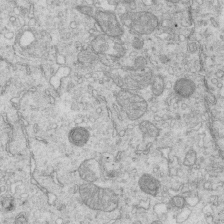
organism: Mouse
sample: Multiciliated cells